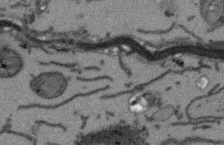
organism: Arabidopsis thaliana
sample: Root tip